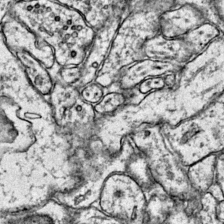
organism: Mouse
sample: Primary visual cortex